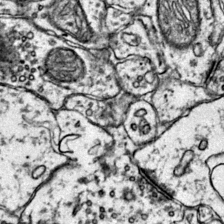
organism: Mouse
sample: Primary visual cortex